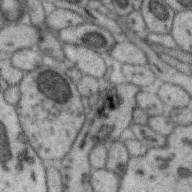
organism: Zebra finch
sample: Brain